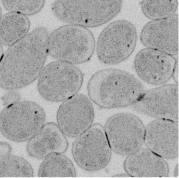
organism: E. coli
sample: Bacterial nucleoid